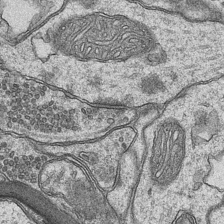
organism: Mouse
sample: CA1 Hippocampus